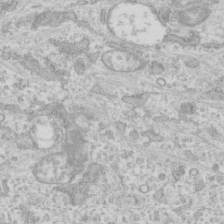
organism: Human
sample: CRL-1474